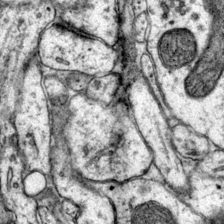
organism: Mouse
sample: Primary visual cortex